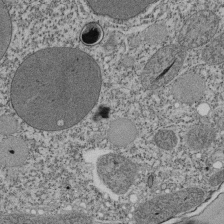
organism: Tetrahymena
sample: Cilia in tetrahymena